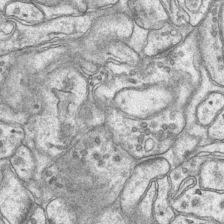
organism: Mouse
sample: CA1 Hippocampus